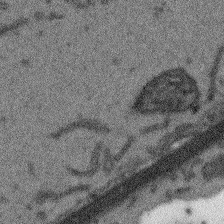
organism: Arabidopsis thaliana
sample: Root tip